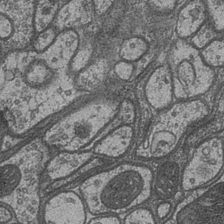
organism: Drosophila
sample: Optic medulla